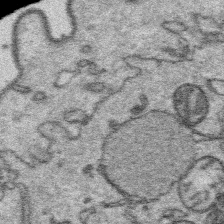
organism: Platynereis dumerilii